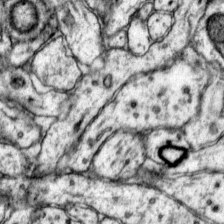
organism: Mouse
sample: Primary visual cortex